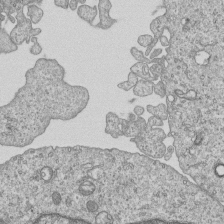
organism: Human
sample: MDA-MB-231 cells